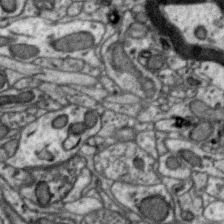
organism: Zebra finch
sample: Brain